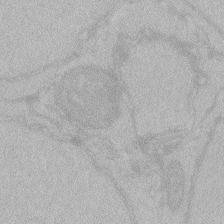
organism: Zebrafish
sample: Macrophage infected with Toxoplasma gondii